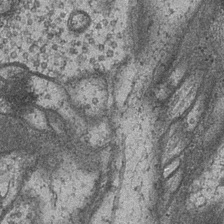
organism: Drosophila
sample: Optic medulla